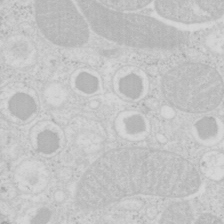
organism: Mouse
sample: Pancreas